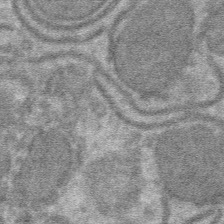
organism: Mouse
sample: Mouse hepatocytes